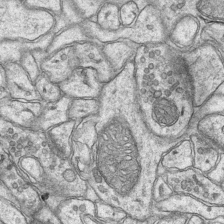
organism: Mouse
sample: CA1 Hippocampus